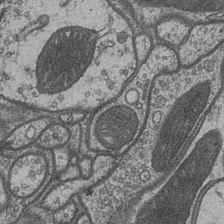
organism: Drosophila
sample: Optic medulla